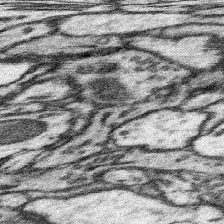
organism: Mouse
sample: Somatosensory cortex neuropil